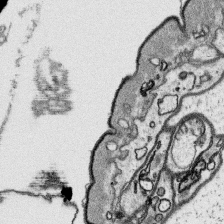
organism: Platynereis dumerilii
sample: Parapodia